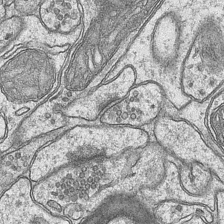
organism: Mouse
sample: CA1 Hippocampus